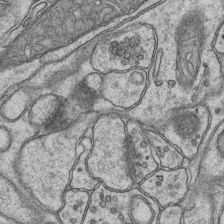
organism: Mouse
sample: CA1 Hippocampus